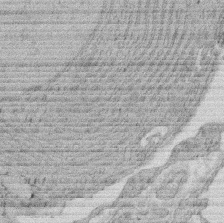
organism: Rat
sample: Salivary granule